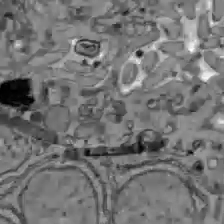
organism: C57BL Mouse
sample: Liver